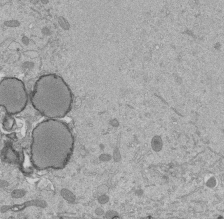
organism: Mouse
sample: ED-1 cell nuclei; centrioles